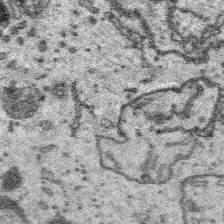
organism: Platynereis dumerilii